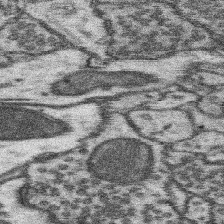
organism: Mouse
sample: Somatosensory cortex neuropil